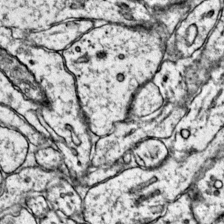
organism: Mouse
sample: Primary visual cortex